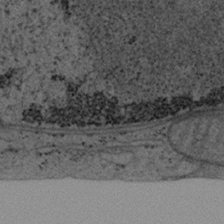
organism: Human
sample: HeLa cells